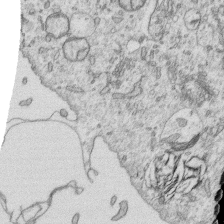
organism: Human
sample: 1205lu cells